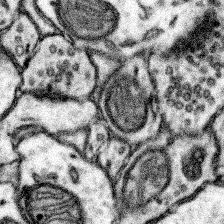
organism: Mouse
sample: Somatosensory cortex neuropil